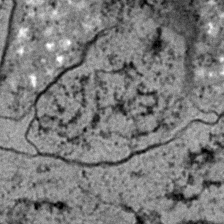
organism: C. elegans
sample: C. elegans embryo